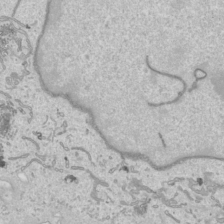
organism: Human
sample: Mitochondria in HCT116 cells